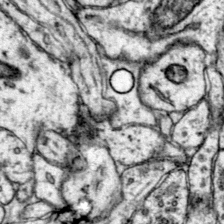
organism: Mouse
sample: Primary visual cortex